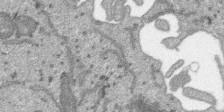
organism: Human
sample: Lung epithelial cells infected with SARS-CoV-2